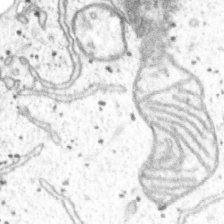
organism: Human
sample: HeLa cells